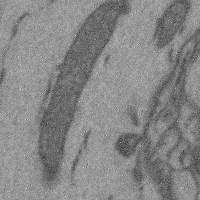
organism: Mouse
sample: Cerebral cortex